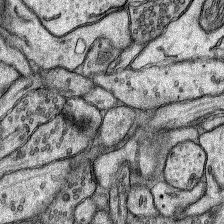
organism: Rat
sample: Hippocampus